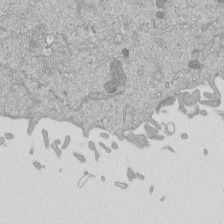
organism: Mouse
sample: ED-1 cell nuclei; centrioles